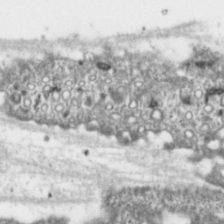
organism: Toxoplasma gondii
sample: Parasites in a vacuole inside a host cell